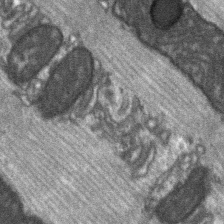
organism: C57BL Mouse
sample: Soleus